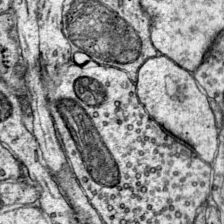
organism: Mouse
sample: Primary visual cortex